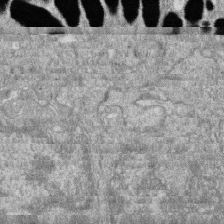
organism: Zebrafish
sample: Cilia; retinal pigment epithelium